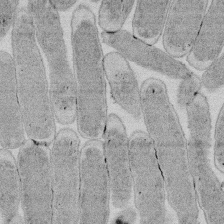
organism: E. coli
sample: Bacterial nucleoid